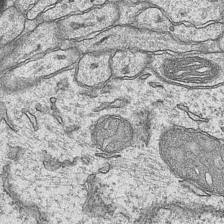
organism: Mouse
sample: CA1 Hippocampus